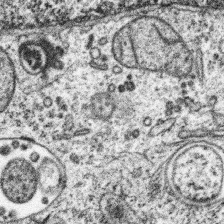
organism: Human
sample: HeLa cells